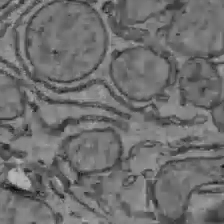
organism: C57BL Mouse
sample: Liver